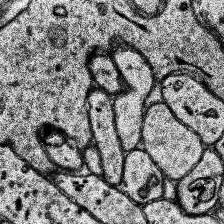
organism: Human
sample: Temporal Lobe